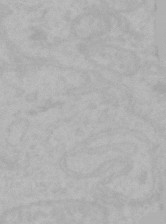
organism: Mouse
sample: Choroid plexus